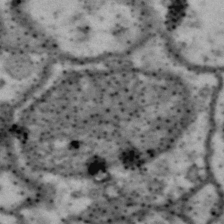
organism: Drosophila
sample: Brain